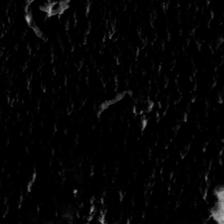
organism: Toxoplasma gondii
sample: Parasites in a vacuole inside a host cell